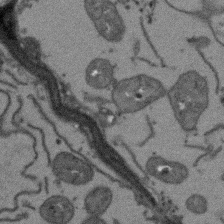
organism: Arabidopsis thaliana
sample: Root tip